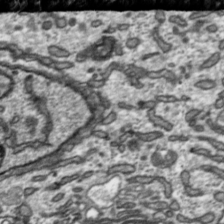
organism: Toxoplasma gondii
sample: Parasites in a vacuole inside a host cell